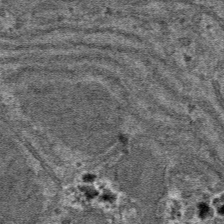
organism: Mouse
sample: Mouse hepatocytes